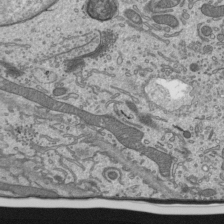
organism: Mouse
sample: Mouse epididymis efferent ductule cilia